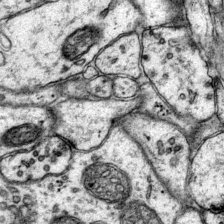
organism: Mouse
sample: Primary visual cortex